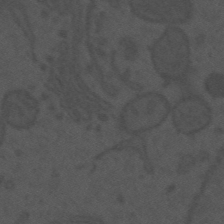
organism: Mouse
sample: Suprachiasmatic nucleus